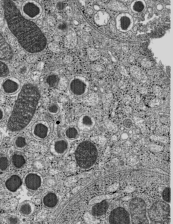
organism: C57BL Mouse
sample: Pancreatic islet